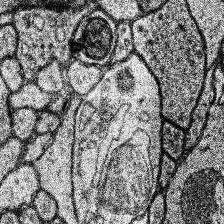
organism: Human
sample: Temporal Lobe